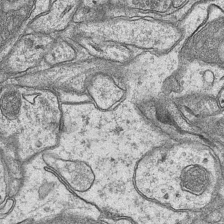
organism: Mouse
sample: CA1 Hippocampus